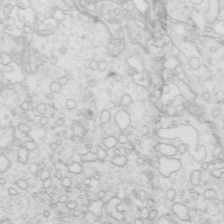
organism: Mouse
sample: Multiciliated cells